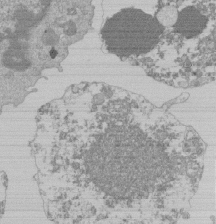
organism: Mouse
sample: Activated Pmel transgenic CD8+ T Cells